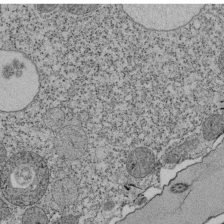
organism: Tetrahymena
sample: Cilia in tetrahymena